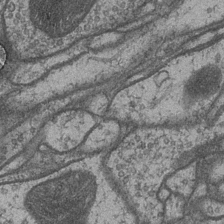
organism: Drosophila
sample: Optic medulla